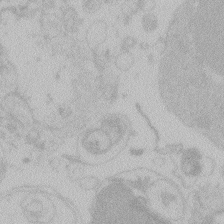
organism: Zebrafish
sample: Macrophage infected with Toxoplasma gondii